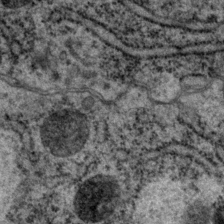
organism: P. pacificus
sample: Pharynx